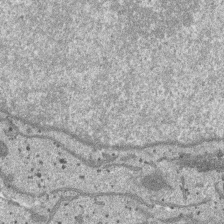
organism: Human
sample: Lung epithelial cells infected with SARS-CoV-2